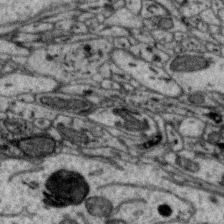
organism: Zebra finch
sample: Brain